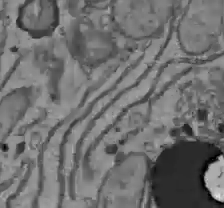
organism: C57BL Mouse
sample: Liver